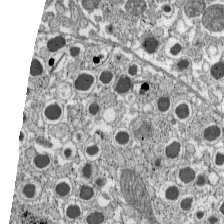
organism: C57BL Mouse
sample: Pancreatic islet